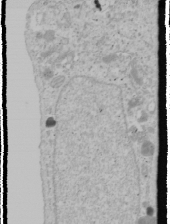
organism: Human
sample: Mitochondria in U2OS cells